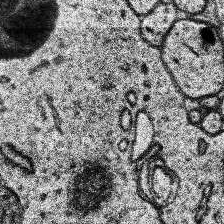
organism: Human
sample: Temporal Lobe